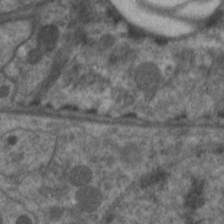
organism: C. elegans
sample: Pharynx